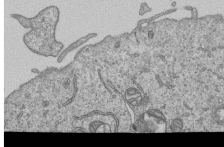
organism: Human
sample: MDA-MB-231 cells